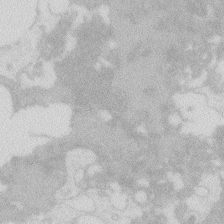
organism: Zebrafish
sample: Macrophage